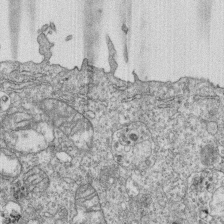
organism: Human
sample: HeLa cell HIV synapse